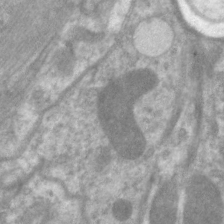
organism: C. elegans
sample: Pharynx